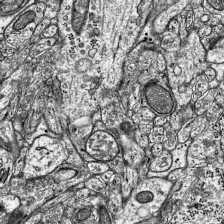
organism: Mouse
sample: Visual Cortex